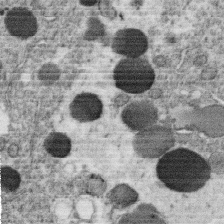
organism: C. elegans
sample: C. elegans oocyte; sperm cells